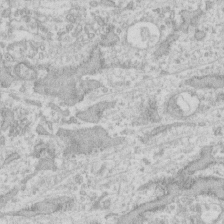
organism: Human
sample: Fibroblast cells